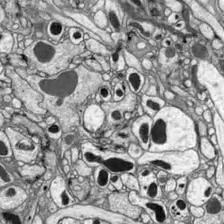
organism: Drosophila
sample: Optic lobe